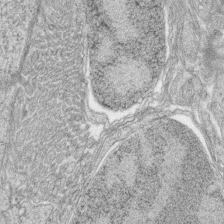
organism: Zebrafish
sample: synaptic ribbons in rod cells and cone cells